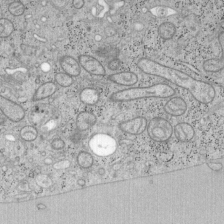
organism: Mouse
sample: OT-I killer T cells with ID8 ovarian cancer cells